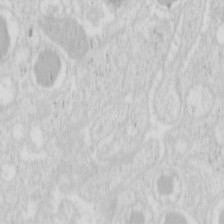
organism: Mouse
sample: Pancreas